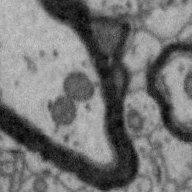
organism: Zebra finch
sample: Brain